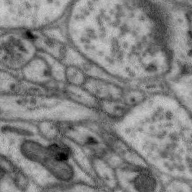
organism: Zebra finch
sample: Brain